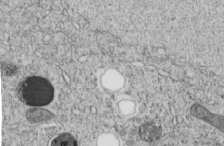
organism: C. elegans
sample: C. elegans embryo early stage